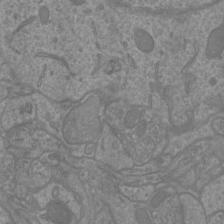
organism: Mouse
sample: Cortical neurons